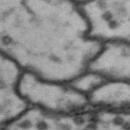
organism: Drosophila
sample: Brain